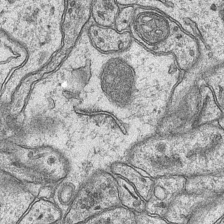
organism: Mouse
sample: CA1 Hippocampus